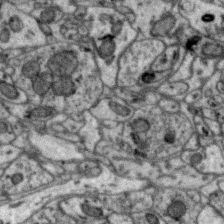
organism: Zebra finch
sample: Brain